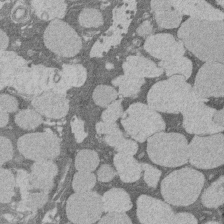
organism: Rat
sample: Salivary granule